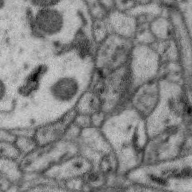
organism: Zebra finch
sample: Brain